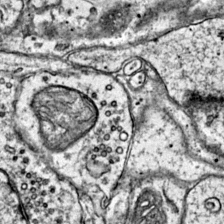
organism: Mouse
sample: Primary visual cortex